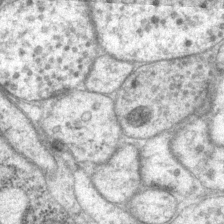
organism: P. pacificus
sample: Pharynx